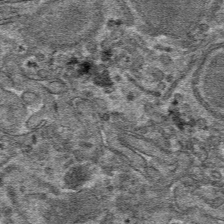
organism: Mouse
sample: Mouse hepatocytes